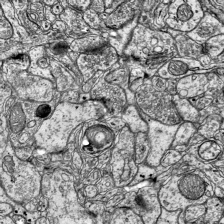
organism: Mouse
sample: Visual Cortex